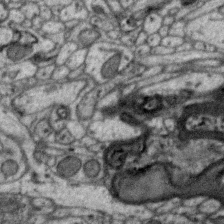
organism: Zebra finch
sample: Brain